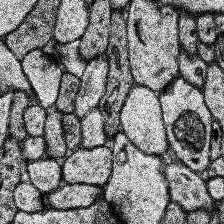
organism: Human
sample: Temporal Lobe